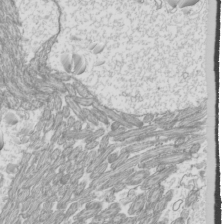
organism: Mouse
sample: Cilia; mouse epididymis